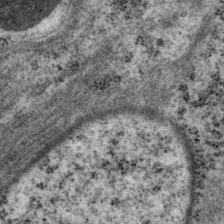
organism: P. pacificus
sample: Pharynx